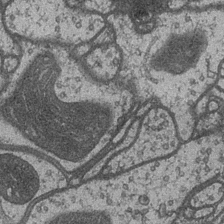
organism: Drosophila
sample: Optic medulla